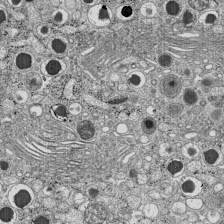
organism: C57BL Mouse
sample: Pancreatic islet